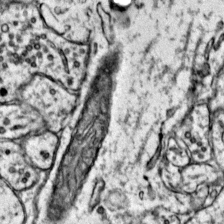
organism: Mouse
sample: Primary visual cortex